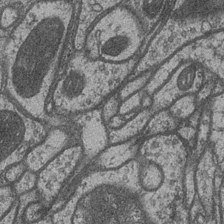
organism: Drosophila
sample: Optic medulla